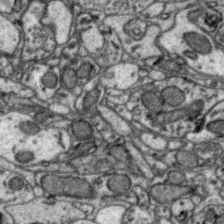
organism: Zebra finch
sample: Brain